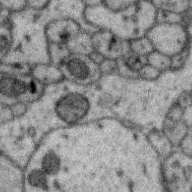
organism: Zebra finch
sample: Brain